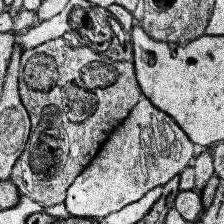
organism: Human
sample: Temporal Lobe